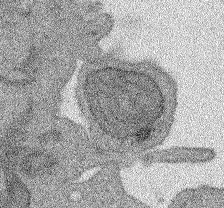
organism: Human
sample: HeLa cells